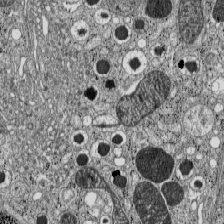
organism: C57BL Mouse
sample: Pancreatic islet